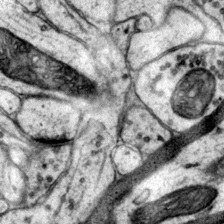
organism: Mouse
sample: Primary visual cortex